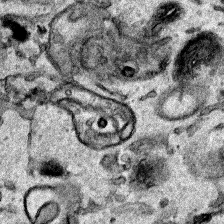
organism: Human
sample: Mitochondria in HCT116 cells